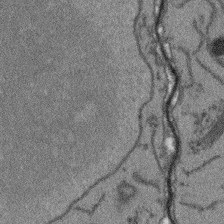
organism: Arabidopsis thaliana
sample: Root tip